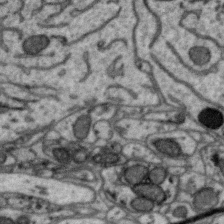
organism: Zebra finch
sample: Brain